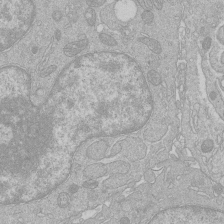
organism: Human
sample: Macrophage cells